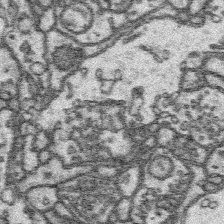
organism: Platynereis dumerilii